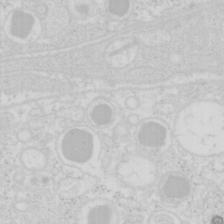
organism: Mouse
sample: Pancreas